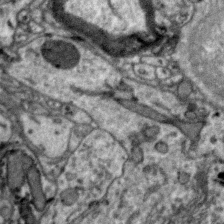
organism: Zebra finch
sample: Brain